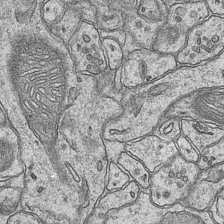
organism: Mouse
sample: CA1 Hippocampus